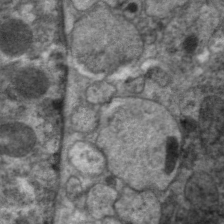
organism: C. elegans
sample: Pharynx